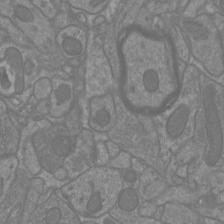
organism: Mouse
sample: Cortical neurons